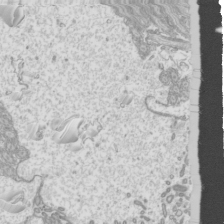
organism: Mouse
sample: Cilia; mouse epididymis